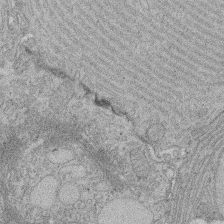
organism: Rat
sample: Salivary granule